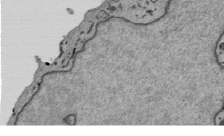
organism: Mouse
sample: ED-1 cell nuclei; centrioles